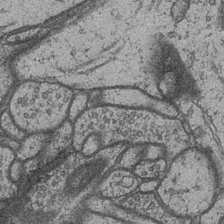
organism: Drosophila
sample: Optic medulla